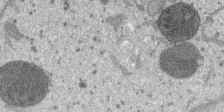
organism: Human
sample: Lung epithelial cells infected with SARS-CoV-2